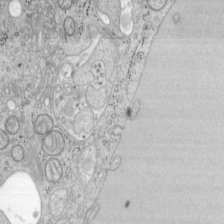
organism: Mouse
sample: OT-I killer T cells with ID8 ovarian cancer cells